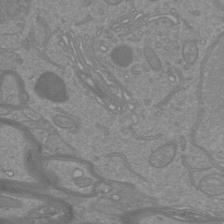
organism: Mouse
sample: Cortical neurons